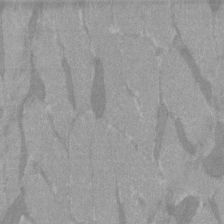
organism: C57BL Mouse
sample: Tibialis anterior muscle cell